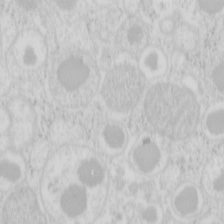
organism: Mouse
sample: Pancreas